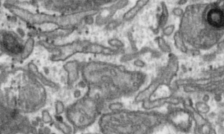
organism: Toxoplasma gondii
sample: Parasites in a vacuole inside a host cell